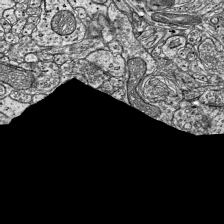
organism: Mouse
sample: Visual Cortex